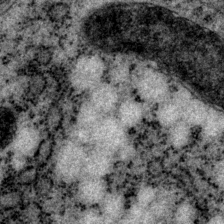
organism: P. pacificus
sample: Pharynx